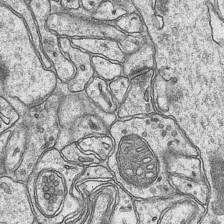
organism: Mouse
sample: CA1 Hippocampus